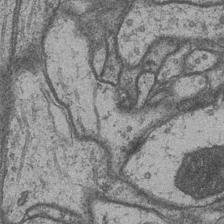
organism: Drosophila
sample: Optic medulla